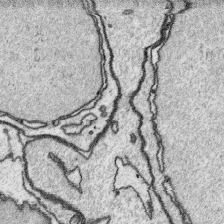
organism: Platynereis dumerilii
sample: Parapodia